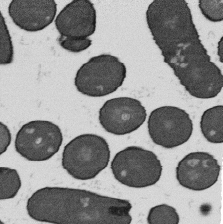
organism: B. subtilis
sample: Bacterial spore